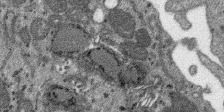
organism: Human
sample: Lung epithelial cells infected with SARS-CoV-2